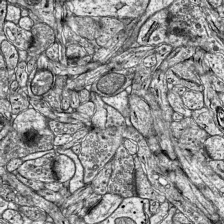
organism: Mouse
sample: Visual Cortex